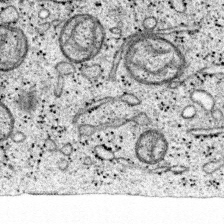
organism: Human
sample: HeLa cells